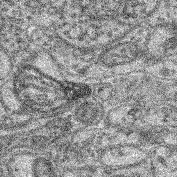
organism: Mouse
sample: Retina